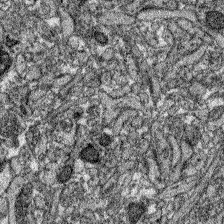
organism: Zebrafish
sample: Larval olfactory bulb